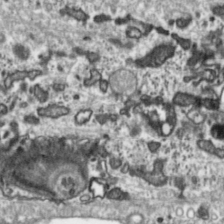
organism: Toxoplasma gondii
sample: Parasites in a vacuole inside a host cell